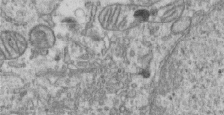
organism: Human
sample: Centriole in RPE cells